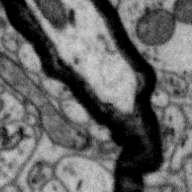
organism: Zebra finch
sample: Brain